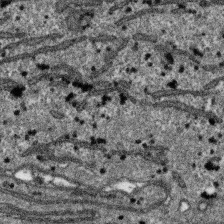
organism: Human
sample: Lung epithelial cells infected with SARS-CoV-2